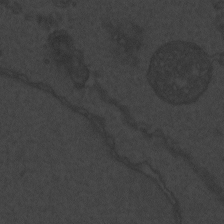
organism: Zebrafish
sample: Macrophage infected with Toxoplasma gondii